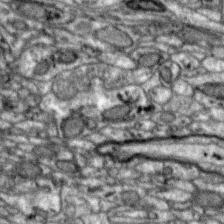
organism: Zebra finch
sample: Brain